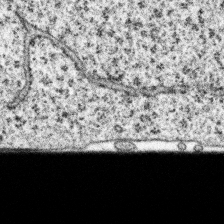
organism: Human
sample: HeLa cells